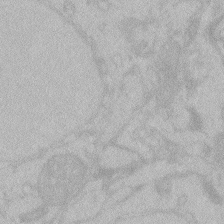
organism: Zebrafish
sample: Macrophage infected with Toxoplasma gondii